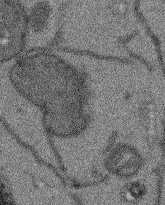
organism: Arabidopsis thaliana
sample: Root tip